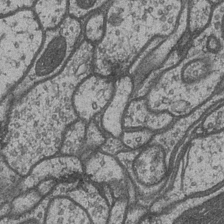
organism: Drosophila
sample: Optic medulla